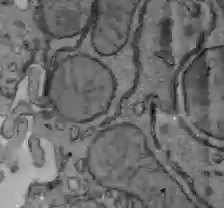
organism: C57BL Mouse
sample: Liver